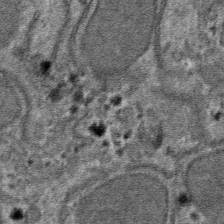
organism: Mouse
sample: Mouse hepatocytes